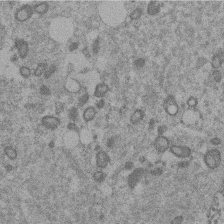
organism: Mouse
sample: Dividing mouse embryo 1 cell stage